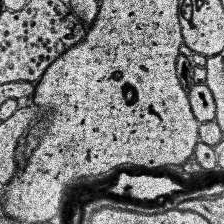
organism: Human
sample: Temporal Lobe